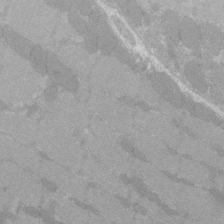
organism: C57BL Mouse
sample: Tibialis anterior muscle cell